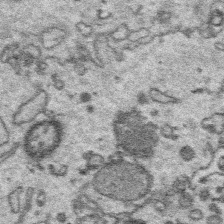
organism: Platynereis dumerilii